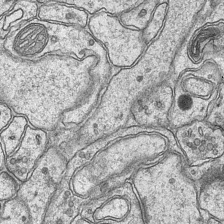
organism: Mouse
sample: CA1 Hippocampus